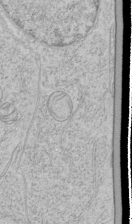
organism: Human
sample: Mitochondria in HCT116 cells